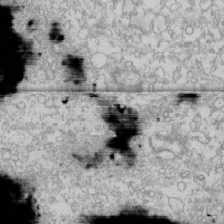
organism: Human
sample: CRL-1474